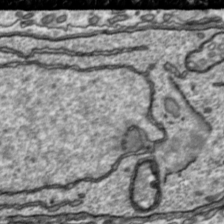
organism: Toxoplasma gondii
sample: Parasites in a vacuole inside a host cell